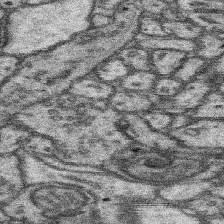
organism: Mouse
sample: Somatosensory cortex neuropil